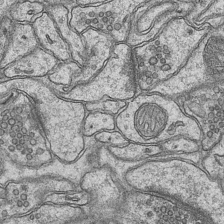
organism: Mouse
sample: CA1 Hippocampus